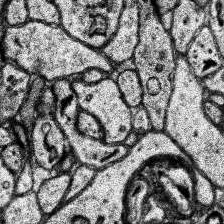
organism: Human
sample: Temporal Lobe